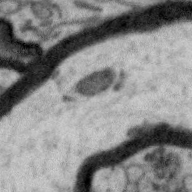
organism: Zebra finch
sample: Brain